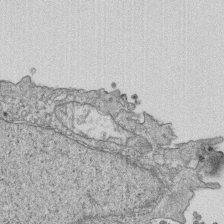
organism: Human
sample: HeLa cell HIV synapse